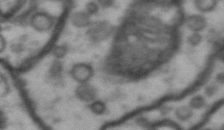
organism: Drosophila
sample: Brain